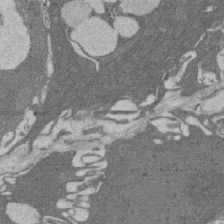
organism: Rat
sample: Salivary granule